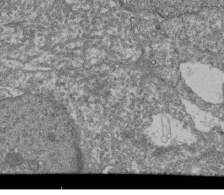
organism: Human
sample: Retinal organoid Rod and Cone cells